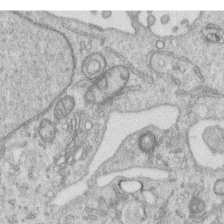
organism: Human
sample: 1205lu cells